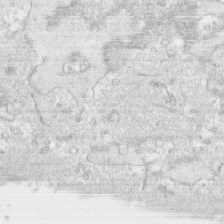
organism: Human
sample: CRL-1474